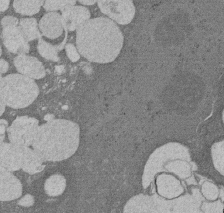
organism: Rat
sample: Salivary granule